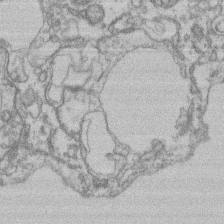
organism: Mouse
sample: T cell stromal cell synapse